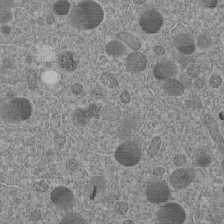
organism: C. elegans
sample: C. elegans embryo early stage